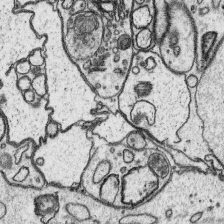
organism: Platynereis dumerilii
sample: Parapodia